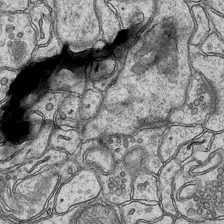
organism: Mouse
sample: CA1 Hippocampus